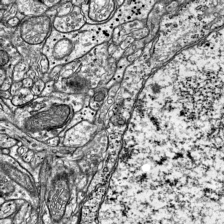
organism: Mouse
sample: Visual Cortex